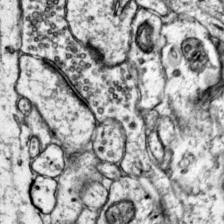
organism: Mouse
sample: Primary visual cortex